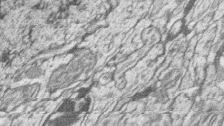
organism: Zebrafish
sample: synaptic ribbons in rod cells and cone cells